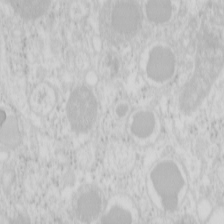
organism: Mouse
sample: Pancreas